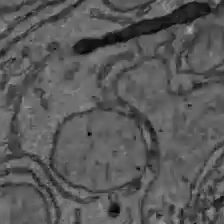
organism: C57BL Mouse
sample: Liver